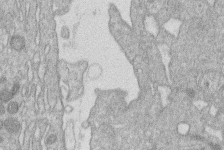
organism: Human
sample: Macrophage cells